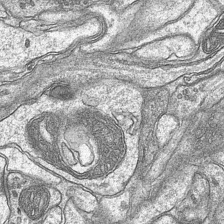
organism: Mouse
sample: CA1 Hippocampus